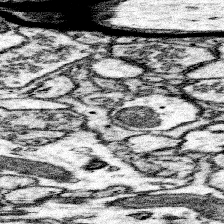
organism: Mouse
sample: Somatosensory cortex neuropil